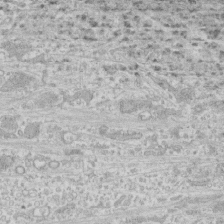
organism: Human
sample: CRL-1474